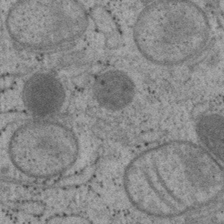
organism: Human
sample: HeLa cells